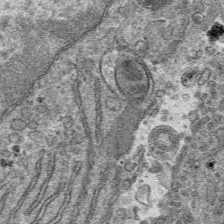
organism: Mouse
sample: Mouse hepatocytes